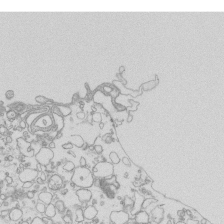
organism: Mouse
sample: Macrophages